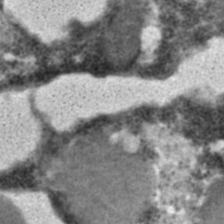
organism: C. elegans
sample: C. elegans embryo